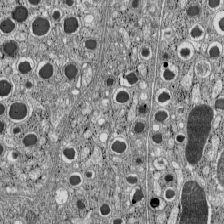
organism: C57BL Mouse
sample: Pancreatic islet